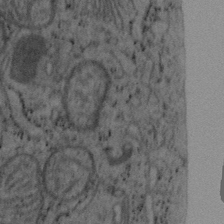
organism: Human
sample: HeLa cells